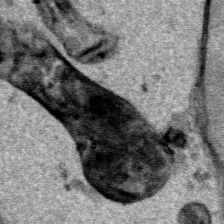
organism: Human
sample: Mitochondria in HCT116 cells